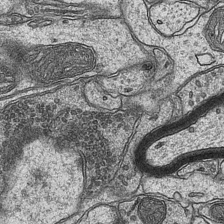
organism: Mouse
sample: CA1 Hippocampus